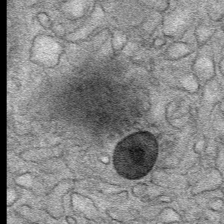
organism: Mouse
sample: Mouse Salivary gland